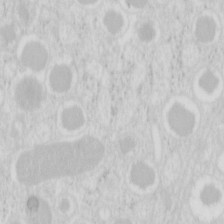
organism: Mouse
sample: Pancreas